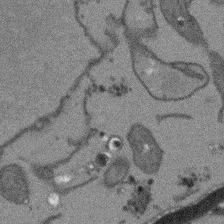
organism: Arabidopsis thaliana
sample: Root tip